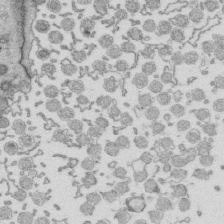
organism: Mouse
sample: Multiciliated cells